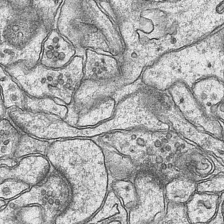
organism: Mouse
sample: CA1 Hippocampus